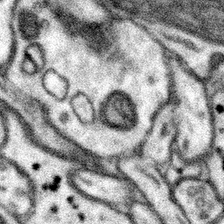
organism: Mouse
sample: Somatosensory cortex neuropil